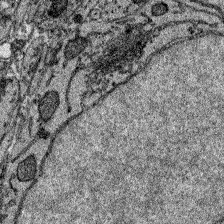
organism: Zebrafish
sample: Larval olfactory bulb